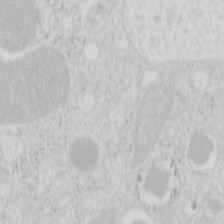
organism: Mouse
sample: Pancreas